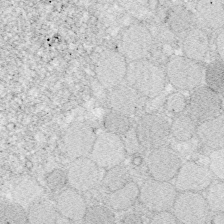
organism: Zebrafish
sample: Whole-Brain